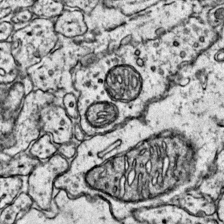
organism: Mouse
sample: Primary visual cortex